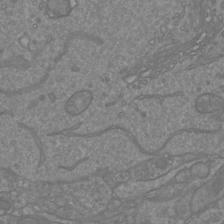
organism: Mouse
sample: Cortical neurons